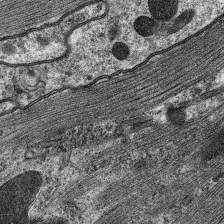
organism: C. elegans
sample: Pharynx